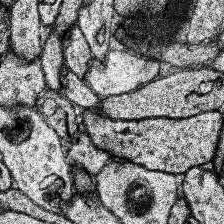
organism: Human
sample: Temporal Lobe